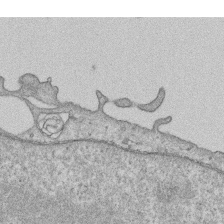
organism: Human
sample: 1205lu cells